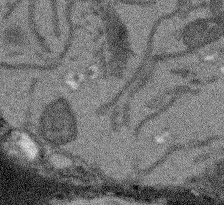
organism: Arabidopsis thaliana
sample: Root tip